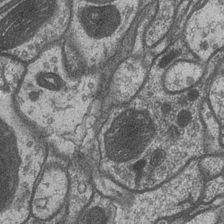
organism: Drosophila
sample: Optic medulla